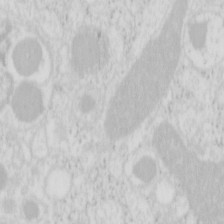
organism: Mouse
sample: Pancreas